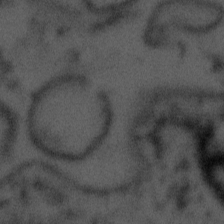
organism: Tuwongella immobilis